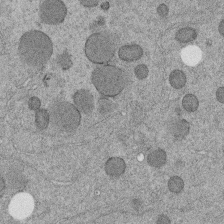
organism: C. elegans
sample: C. elegans embryo early stage